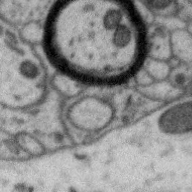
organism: Zebra finch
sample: Brain